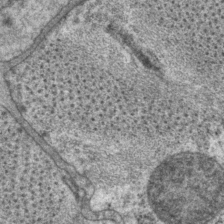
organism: P. pacificus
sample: Pharynx